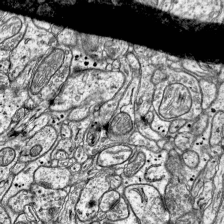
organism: Mouse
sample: Visual Cortex